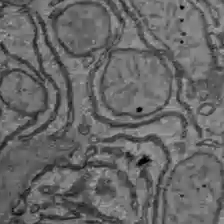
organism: C57BL Mouse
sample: Liver